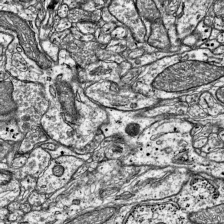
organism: Mouse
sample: Visual Cortex